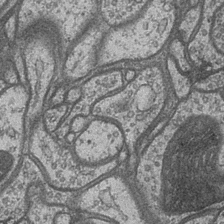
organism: Drosophila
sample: Optic medulla